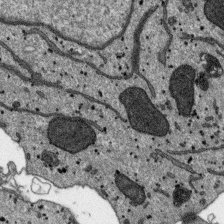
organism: Human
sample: Lung epithelial cells, uninfected (mock) control